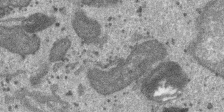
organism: Human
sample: Lung epithelial cells infected with SARS-CoV-2